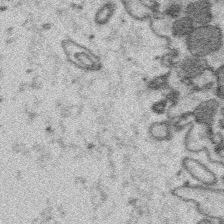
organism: Platynereis dumerilii